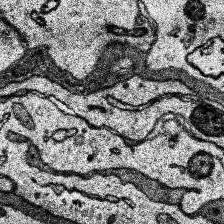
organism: Human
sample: Temporal Lobe